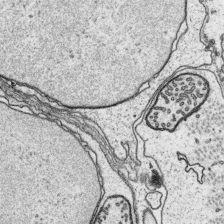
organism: Platynereis dumerilii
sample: Parapodia